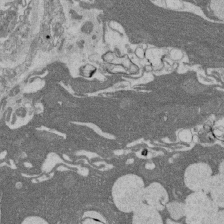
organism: Rat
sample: Salivary granule